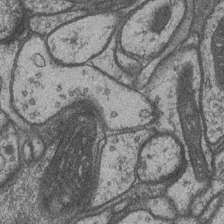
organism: Drosophila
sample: Optic medulla